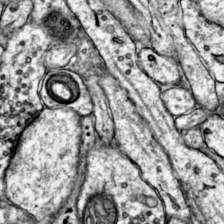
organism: Mouse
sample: Primary visual cortex